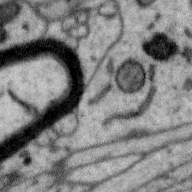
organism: Zebra finch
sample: Brain